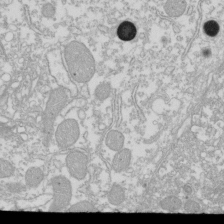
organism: Xenopus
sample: Cilia; centrioles in frog embryo cells